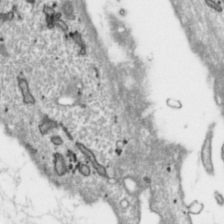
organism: Toxoplasma gondii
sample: Parasites in a vacuole inside a host cell